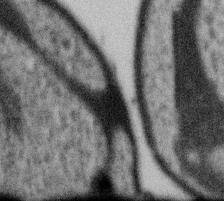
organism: Gemmata obscuriglobus